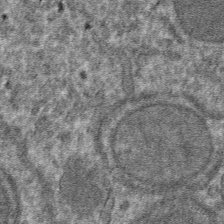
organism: Mouse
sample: Mouse hepatocytes